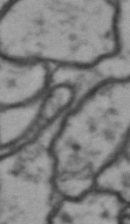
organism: Drosophila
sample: Brain